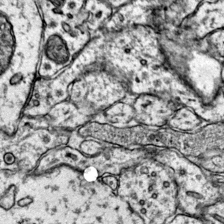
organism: Mouse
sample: Primary visual cortex